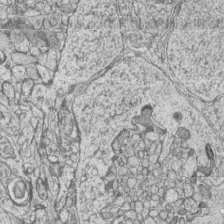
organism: Zebrafish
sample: synaptic ribbons in rod cells and cone cells